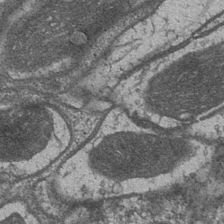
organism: Drosophila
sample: Optic medulla